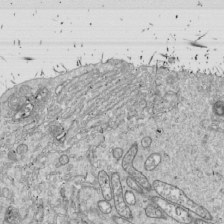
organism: Drosophila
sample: Cell division; meiosis; drosophila spermatocytes